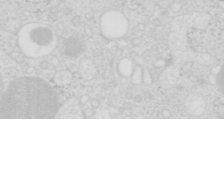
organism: Mouse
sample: Pancreas